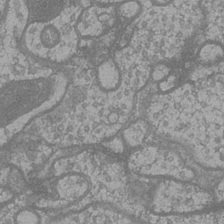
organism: Drosophila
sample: Optic medulla